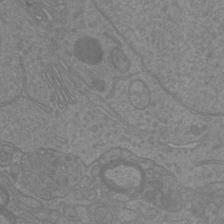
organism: Mouse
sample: Cortical neurons